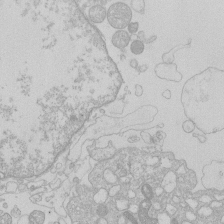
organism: Human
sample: Macrophage cells